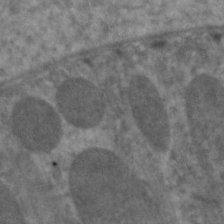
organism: C. elegans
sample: Pharynx